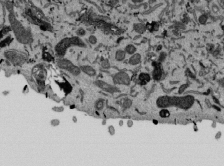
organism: Mouse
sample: ED-1 cell nuclei; centrioles